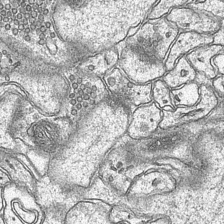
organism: Mouse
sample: CA1 Hippocampus